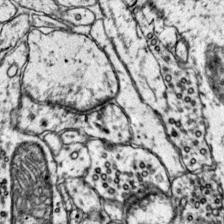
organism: Mouse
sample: Primary visual cortex